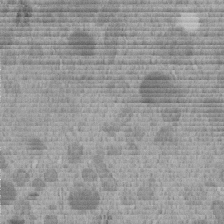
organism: C. elegans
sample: C. elegans embryo early stage